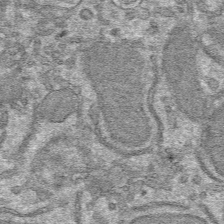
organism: Mouse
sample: Mouse hepatocytes